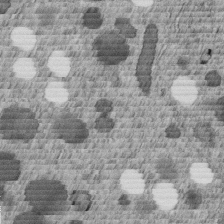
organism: C. elegans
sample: C. elegans embryo early stage